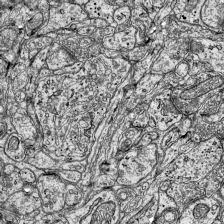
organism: Mouse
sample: Visual Cortex